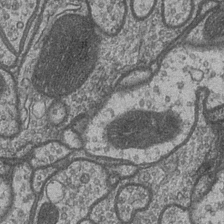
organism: Drosophila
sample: Optic medulla